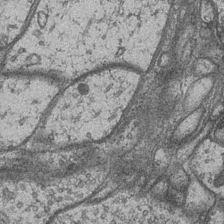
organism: Drosophila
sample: Optic medulla